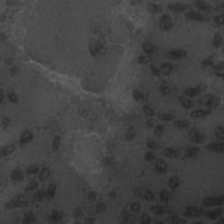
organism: C. elegans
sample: C. elegans embryo